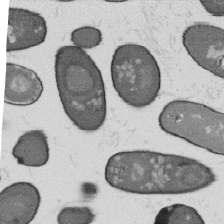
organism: B. subtilis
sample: Bacterial spore